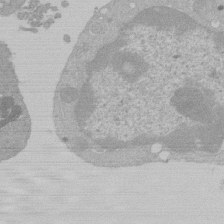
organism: Mouse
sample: Activated Pmel transgenic CD8+ T Cells